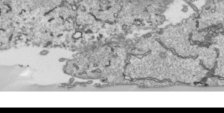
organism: Human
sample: Mitochondria in HCT116 cells